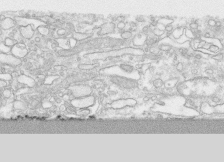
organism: Human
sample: CRL-1474